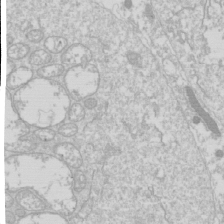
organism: Drosophila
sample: Cell division; meiosis; drosophila spermatocytes